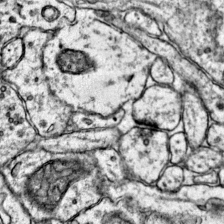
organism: Mouse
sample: Primary visual cortex